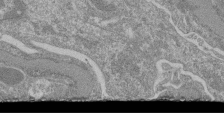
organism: Mouse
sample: Glomerulus